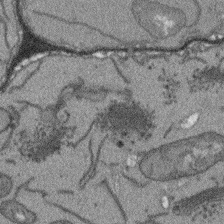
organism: Arabidopsis thaliana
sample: Root tip